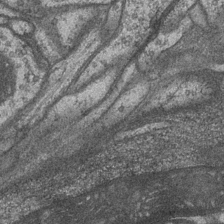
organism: Drosophila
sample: Optic medulla